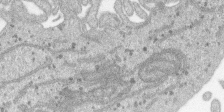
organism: Human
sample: Lung epithelial cells infected with SARS-CoV-2